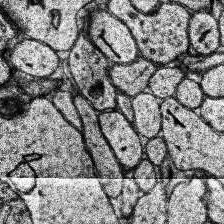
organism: Human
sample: Temporal Lobe